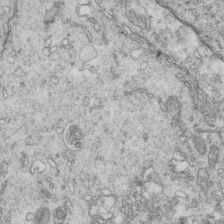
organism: Mouse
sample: Multiciliated cells